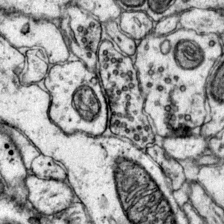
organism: Mouse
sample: Primary visual cortex